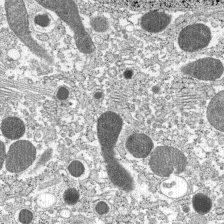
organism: C57BL Mouse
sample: Pancreatic islet